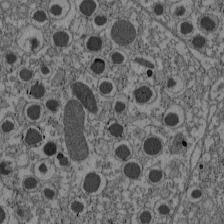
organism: C57BL Mouse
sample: Pancreatic islet